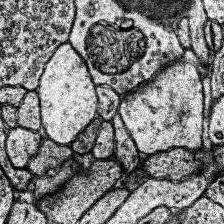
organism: Human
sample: Temporal Lobe